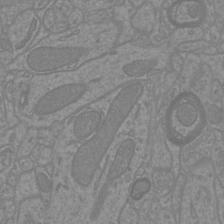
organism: Mouse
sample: Cortical neurons